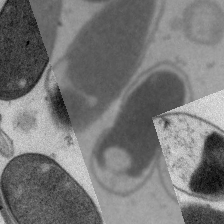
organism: C. elegans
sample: Pharynx